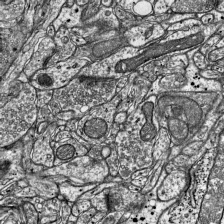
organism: Mouse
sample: Visual Cortex